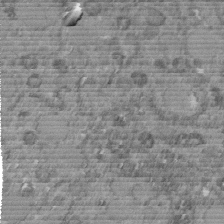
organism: C. elegans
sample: C. elegans embryo early stage